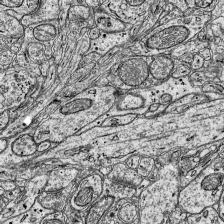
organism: Mouse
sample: Visual Cortex